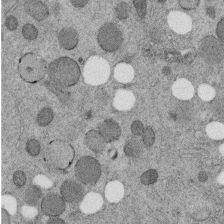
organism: C. elegans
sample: C. elegans embryo early stage